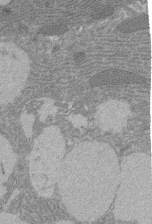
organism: Rat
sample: Salivary granule